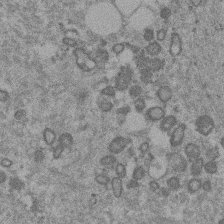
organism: Mouse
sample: Dividing mouse embryo 1 cell stage